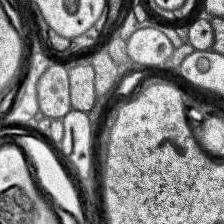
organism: Human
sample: Temporal Lobe